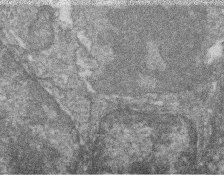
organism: Zebrafish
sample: Cilia; retinal pigment epithelium